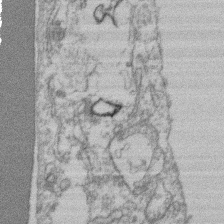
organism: Mouse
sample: T cell stromal cell synapse